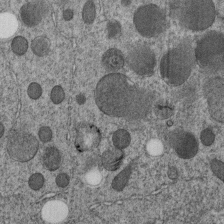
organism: C. elegans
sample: C. elegans embryo early stage